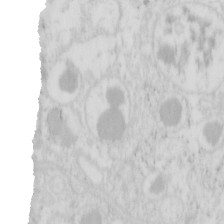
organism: Mouse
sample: Pancreas